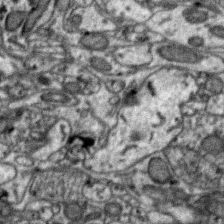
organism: Zebra finch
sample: Brain